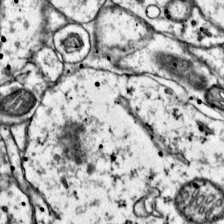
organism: Mouse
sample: Primary visual cortex